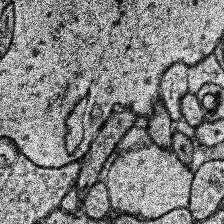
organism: Human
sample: Temporal Lobe